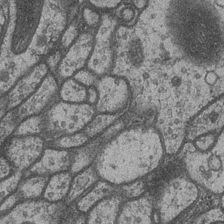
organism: Drosophila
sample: Optic medulla